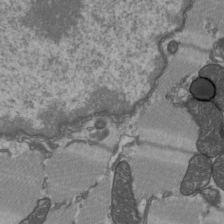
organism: C57BL Mouse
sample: Heart